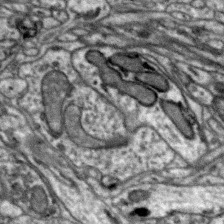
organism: Zebra finch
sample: Brain